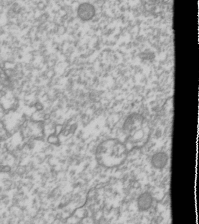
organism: Drosophila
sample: Cell division; meiosis; drosophila spermatocytes